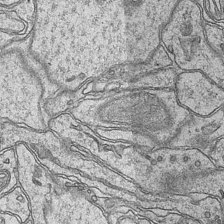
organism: Mouse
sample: CA1 Hippocampus